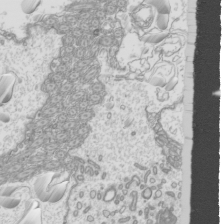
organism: Mouse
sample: Cilia; mouse epididymis